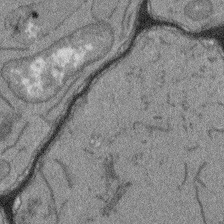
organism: Arabidopsis thaliana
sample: Root tip